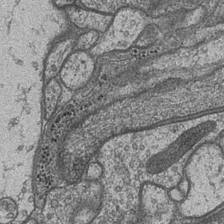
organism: Drosophila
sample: Optic medulla